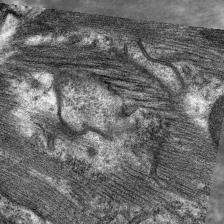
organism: C. elegans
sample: Pharynx